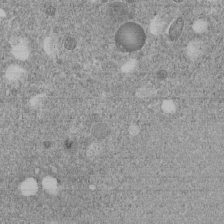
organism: C. elegans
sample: C. elegans embryo early stage